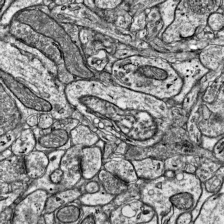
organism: Mouse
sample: Visual Cortex